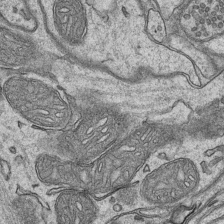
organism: Mouse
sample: CA1 Hippocampus